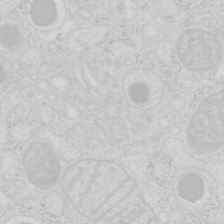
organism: Mouse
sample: Pancreas